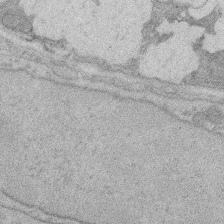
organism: Rat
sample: Salivary granule